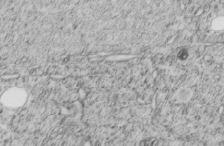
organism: C. elegans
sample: C. elegans embryo early stage